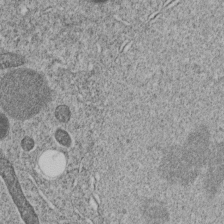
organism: C. elegans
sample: C. elegans embryo early stage